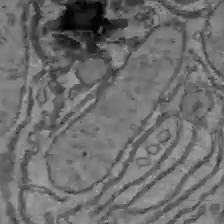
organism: C57BL Mouse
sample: Liver